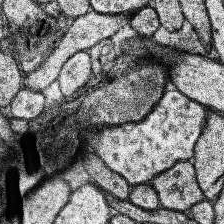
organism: Human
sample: Temporal Lobe